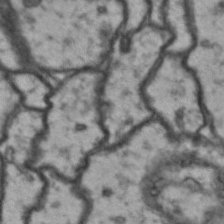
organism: Drosophila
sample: Brain